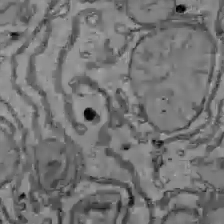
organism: C57BL Mouse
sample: Liver